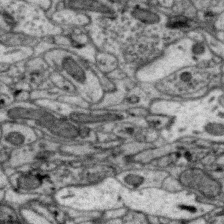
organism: Zebra finch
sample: Brain